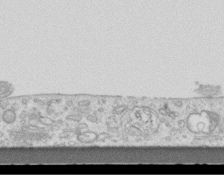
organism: Mouse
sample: Centriole in ependymal cells